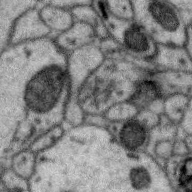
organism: Zebra finch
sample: Brain